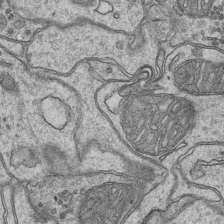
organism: Mouse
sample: CA1 Hippocampus